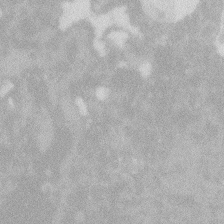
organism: Zebrafish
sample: Macrophage